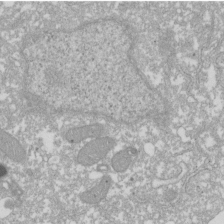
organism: Xenopus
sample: Cilia; centrioles in frog embryo cells